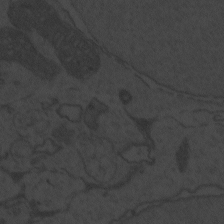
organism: Zebrafish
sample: Macrophage infected with Toxoplasma gondii